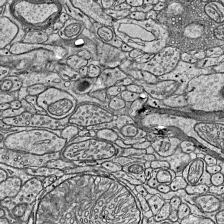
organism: Mouse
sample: Visual Cortex